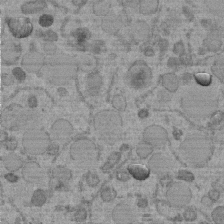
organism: C. elegans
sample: C. elegans embryo early stage